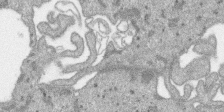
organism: Human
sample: Lung epithelial cells infected with SARS-CoV-2